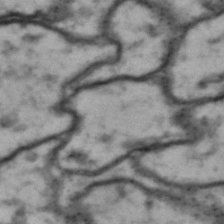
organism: Drosophila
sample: Brain